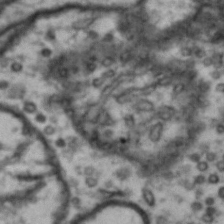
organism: Drosophila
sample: Brain